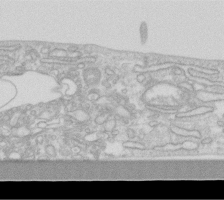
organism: Human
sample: Fibroblast cells